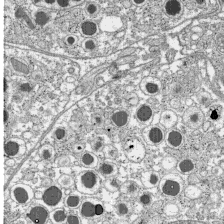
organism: C57BL Mouse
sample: Pancreatic islet